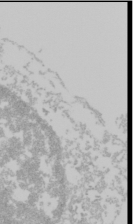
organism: Mouse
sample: Cancer cell death in ED-1 cells